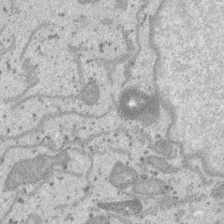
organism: Human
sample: Lung epithelial cells infected with SARS-CoV-2